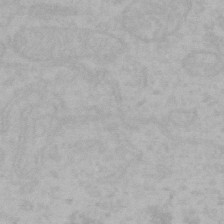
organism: Mouse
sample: Choroid plexus